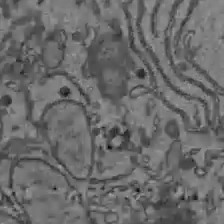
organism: C57BL Mouse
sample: Liver